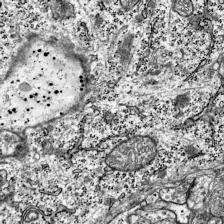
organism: Mouse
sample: Visual Cortex